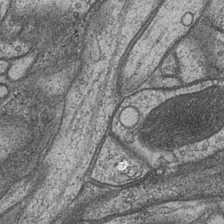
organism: Drosophila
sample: Optic medulla